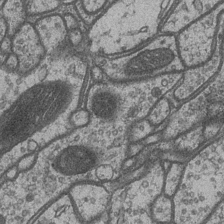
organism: Drosophila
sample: Optic medulla